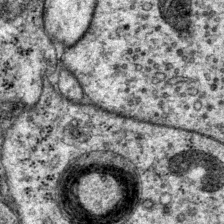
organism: P. pacificus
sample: Pharynx